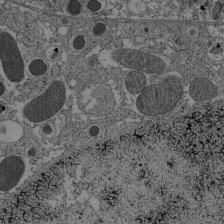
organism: C57BL Mouse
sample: Pancreatic islet